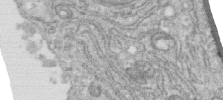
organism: Human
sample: Centriole in RPE cells